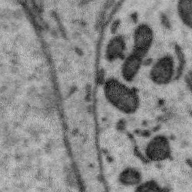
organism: Zebra finch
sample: Brain